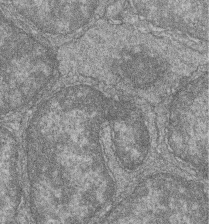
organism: Zebrafish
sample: Cilia; retinal pigment epithelium